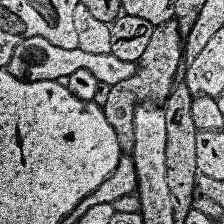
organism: Human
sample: Temporal Lobe